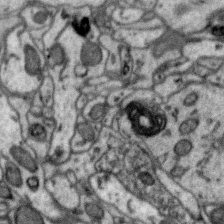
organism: Zebra finch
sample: Brain